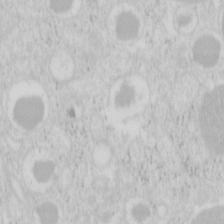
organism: Mouse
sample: Pancreas